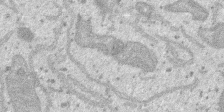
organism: Human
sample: Lung epithelial cells infected with SARS-CoV-2